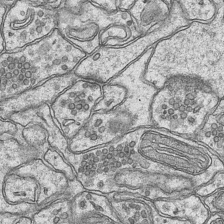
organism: Mouse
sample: CA1 Hippocampus